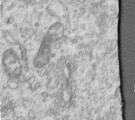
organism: Human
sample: Centriole in RPE cells